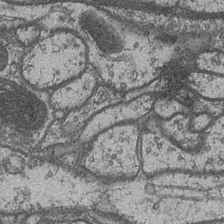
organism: Drosophila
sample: Optic medulla